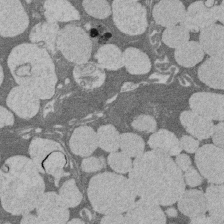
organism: Rat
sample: Salivary granule